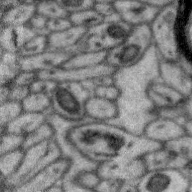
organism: Zebra finch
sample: Brain